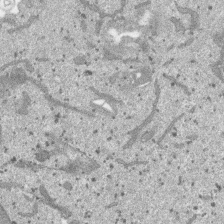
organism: Human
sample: Lung epithelial cells infected with SARS-CoV-2